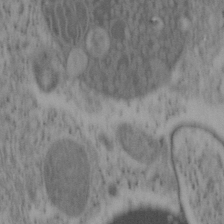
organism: Mouse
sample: OT-I killer T cells with ID8 ovarian cancer cells